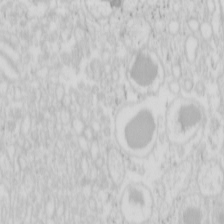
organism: Mouse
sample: Pancreas